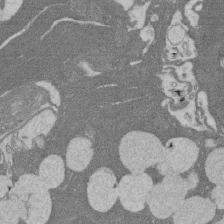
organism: Rat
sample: Salivary granule